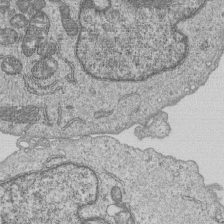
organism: Human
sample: MDA-MB-231 cells